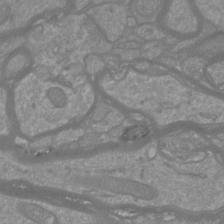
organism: Mouse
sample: Cortical neurons